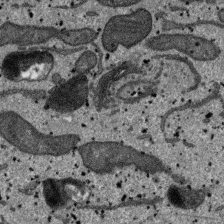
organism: Human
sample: Lung epithelial cells, uninfected (mock) control